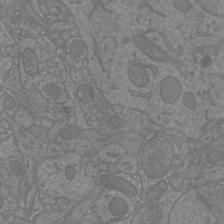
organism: Mouse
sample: Cortical neurons